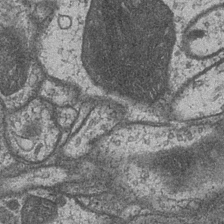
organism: Drosophila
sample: Optic medulla